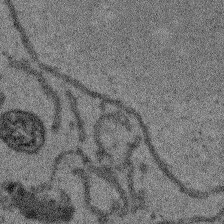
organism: Arabidopsis thaliana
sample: Root tip